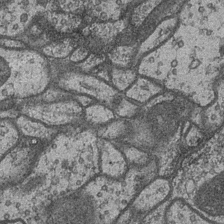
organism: Drosophila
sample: Optic medulla